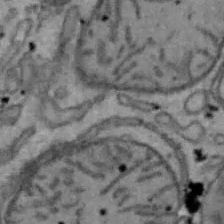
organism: Mouse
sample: Liver